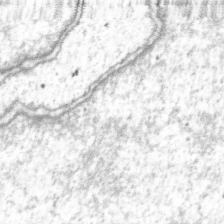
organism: Human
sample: HeLa cells